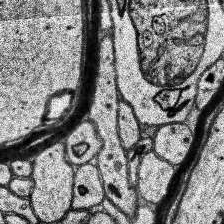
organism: Human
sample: Temporal Lobe